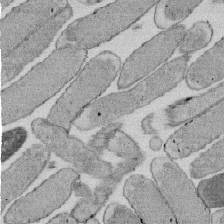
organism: E. coli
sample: Bacterial nucleoid